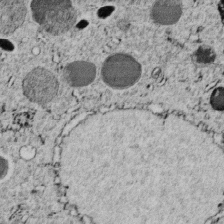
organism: C. elegans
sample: C. elegans embryo early stage